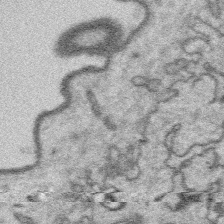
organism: Platynereis dumerilii